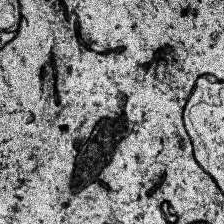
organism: Human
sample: Temporal Lobe